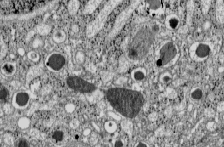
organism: C57BL Mouse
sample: Pancreatic islet